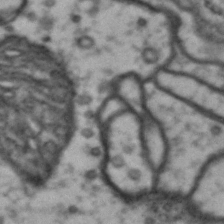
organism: Drosophila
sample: Brain